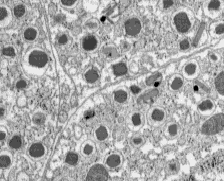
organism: C57BL Mouse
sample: Pancreatic islet